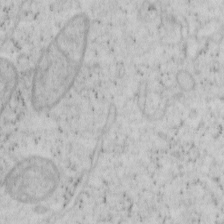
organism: Human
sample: HeLa cells